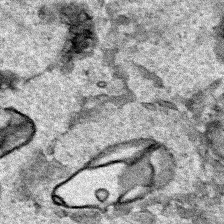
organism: Human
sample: Mitochondria in HCT116 cells